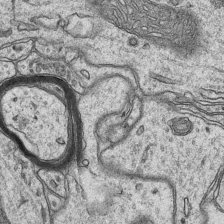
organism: Mouse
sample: CA1 Hippocampus